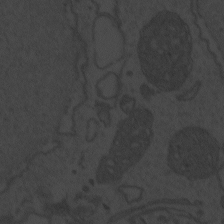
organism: Zebrafish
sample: Macrophage infected with Toxoplasma gondii